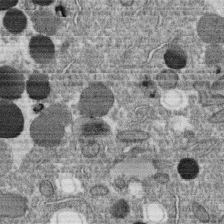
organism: C. elegans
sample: C. elegans oocyte; sperm cells